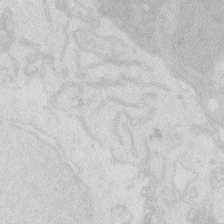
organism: Zebrafish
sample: Macrophage